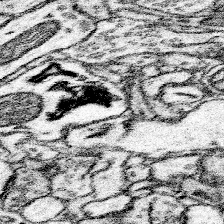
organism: Mouse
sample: Somatosensory cortex neuropil